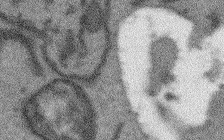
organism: Arabidopsis thaliana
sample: Root tip